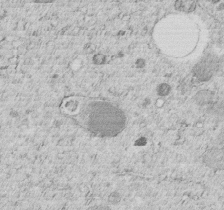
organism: C. elegans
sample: C. elegans embryo early stage